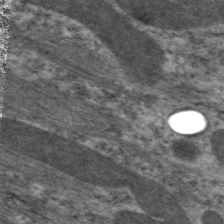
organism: C. elegans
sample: Pharynx